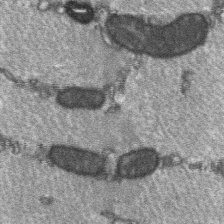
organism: C57BL Mouse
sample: Soleus